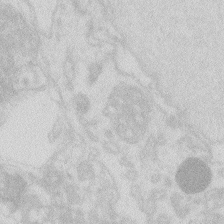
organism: Zebrafish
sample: Macrophage